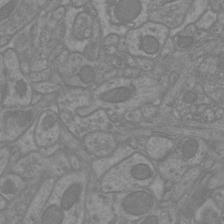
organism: Mouse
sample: Cortical neurons